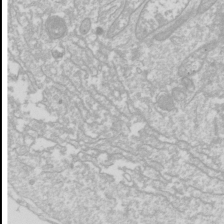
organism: Drosophila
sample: Cell division; meiosis; drosophila spermatocytes